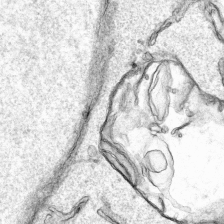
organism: Human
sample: Mitochondria in HCT116 cells